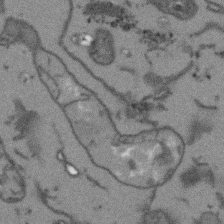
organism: Arabidopsis thaliana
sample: Root tip